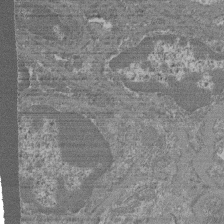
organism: Mouse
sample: Glomerulus